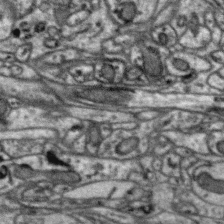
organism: Zebra finch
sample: Brain